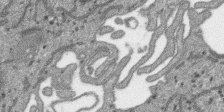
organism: Human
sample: Lung epithelial cells infected with SARS-CoV-2